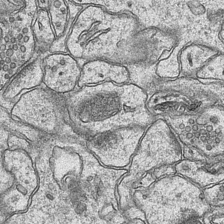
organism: Mouse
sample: CA1 Hippocampus